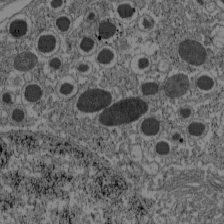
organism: C57BL Mouse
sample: Pancreatic islet